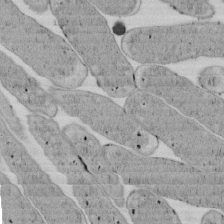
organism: E. coli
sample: Bacterial nucleoid